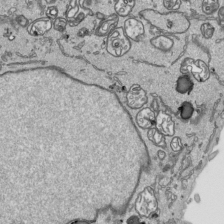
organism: Human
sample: Mitochondria in HCT116 cells